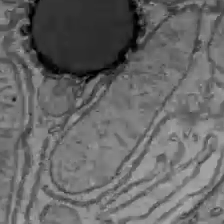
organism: C57BL Mouse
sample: Liver